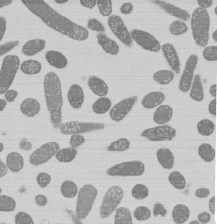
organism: E. coli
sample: Bacterial nucleoid